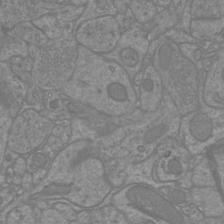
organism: Mouse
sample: Cortical neurons